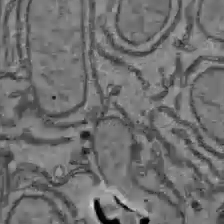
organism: C57BL Mouse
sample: Liver